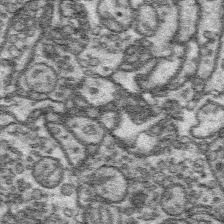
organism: Platynereis dumerilii